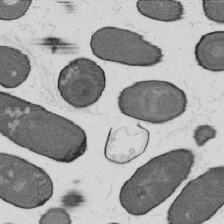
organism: B. subtilis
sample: Bacterial spore